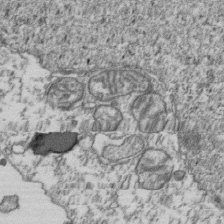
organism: Human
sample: Activated Jurkat CD4+ T cells